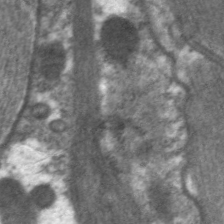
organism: C. elegans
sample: Pharynx